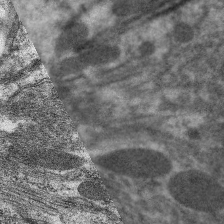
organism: C. elegans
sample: Pharynx